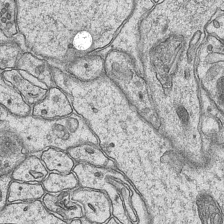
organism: Mouse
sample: CA1 Hippocampus